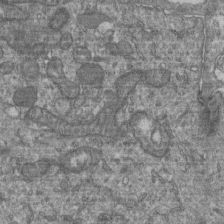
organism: Human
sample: Retinal organoid Rod and Cone cells